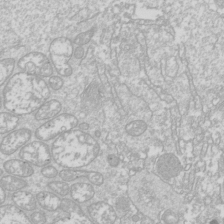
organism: Drosophila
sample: Cell division; meiosis; drosophila spermatocytes